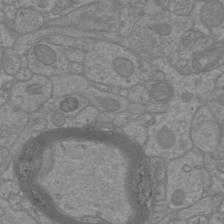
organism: Mouse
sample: Cortical neurons